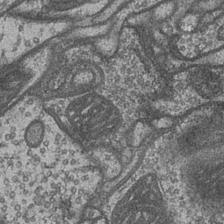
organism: Drosophila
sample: Optic medulla